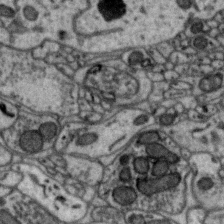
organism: Zebra finch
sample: Brain